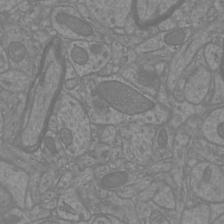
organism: Mouse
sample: Cortical neurons